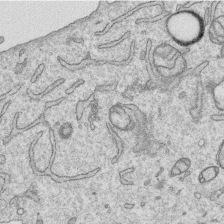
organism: Human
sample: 1205lu cells